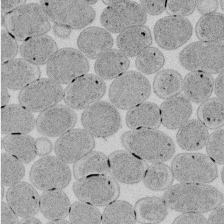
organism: E. coli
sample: Bacterial nucleoid